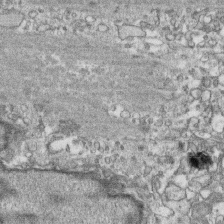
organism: Human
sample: CRL-1474